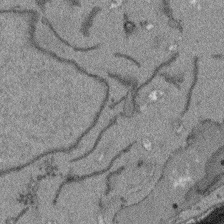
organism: Arabidopsis thaliana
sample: Root tip